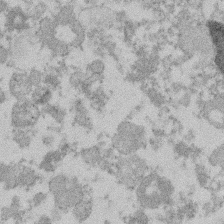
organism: Mouse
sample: Dividing mouse embryo 1 cell stage